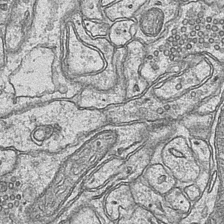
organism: Mouse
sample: CA1 Hippocampus